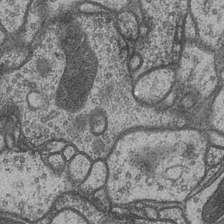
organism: Drosophila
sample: Optic medulla